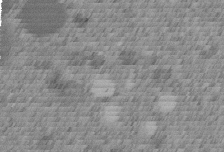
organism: C. elegans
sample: C. elegans embryo early stage